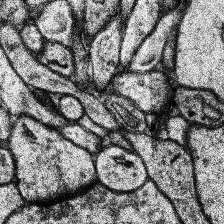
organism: Human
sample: Temporal Lobe